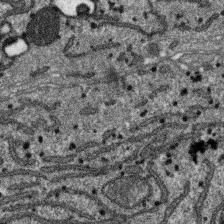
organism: Human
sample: Lung epithelial cells infected with SARS-CoV-2